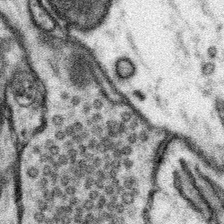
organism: Mouse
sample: Somatosensory cortex neuropil